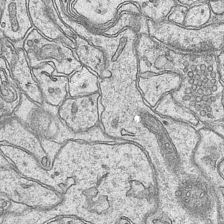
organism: Mouse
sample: CA1 Hippocampus